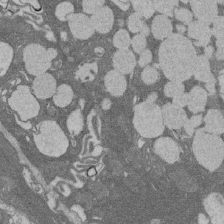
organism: Rat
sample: Salivary granule